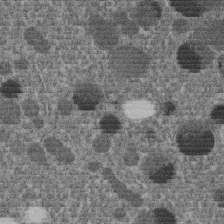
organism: C. elegans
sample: C. elegans embryo early stage